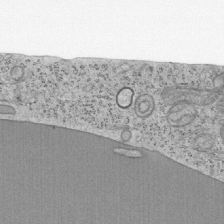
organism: Human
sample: HeLa cells